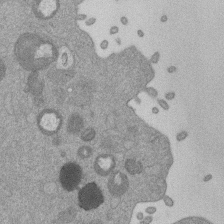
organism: Mouse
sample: Dividing mouse embryo 1 cell stage